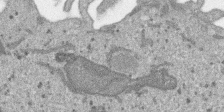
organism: Human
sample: Lung epithelial cells infected with SARS-CoV-2